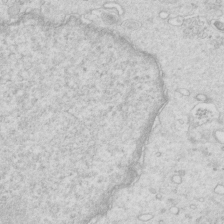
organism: Mouse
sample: Multiciliated cells